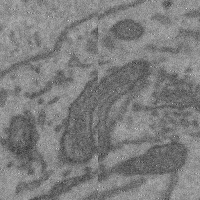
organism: Mouse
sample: Cerebral cortex